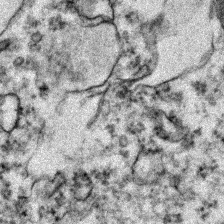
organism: Zebrafish